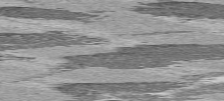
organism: C57BL Mouse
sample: Heart